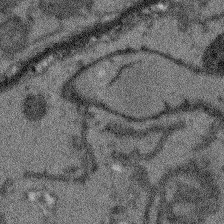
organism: Arabidopsis thaliana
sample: Root tip